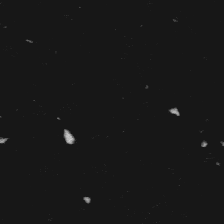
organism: Platynereis dumerilii